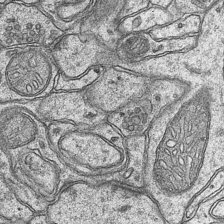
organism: Mouse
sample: CA1 Hippocampus